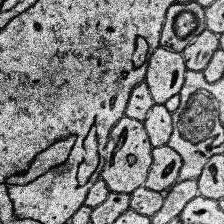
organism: Human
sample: Temporal Lobe